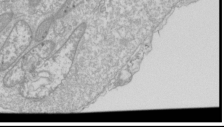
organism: Drosophila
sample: Cell division; meiosis; drosophila spermatocytes